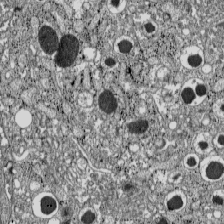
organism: C57BL Mouse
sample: Pancreatic islet